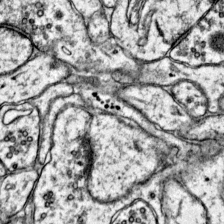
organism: Mouse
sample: Primary visual cortex